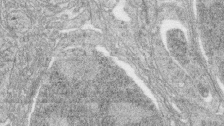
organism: Zebrafish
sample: synaptic ribbons in rod cells and cone cells